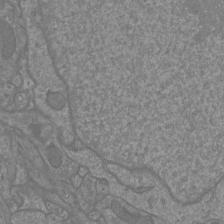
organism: Mouse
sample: Cortical neurons